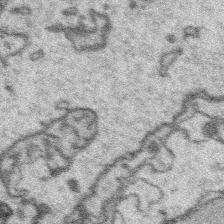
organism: Platynereis dumerilii